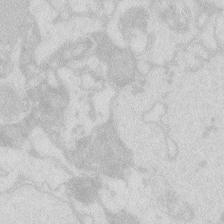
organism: Zebrafish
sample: Macrophage